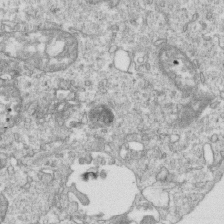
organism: Mouse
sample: Activated OT-1 CD8+ T cells